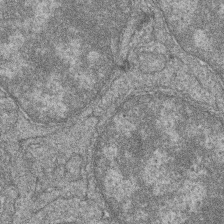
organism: Zebrafish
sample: Cilia; retinal pigment epithelium